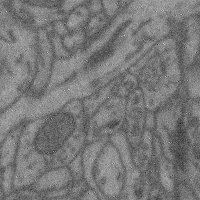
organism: Mouse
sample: Cerebral cortex